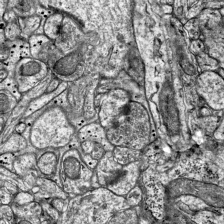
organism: Mouse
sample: Visual Cortex